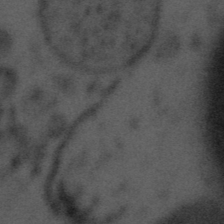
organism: Tuwongella immobilis